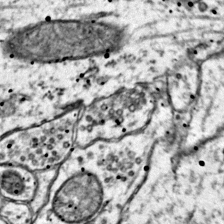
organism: Mouse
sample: Primary visual cortex